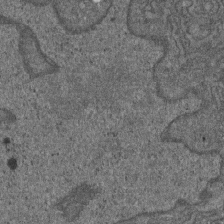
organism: Drosophila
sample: Nephrocyte